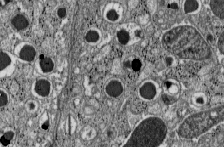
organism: C57BL Mouse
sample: Pancreatic islet